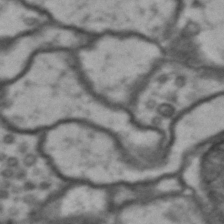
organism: Drosophila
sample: Brain